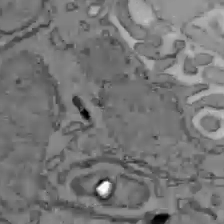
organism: C57BL Mouse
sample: Liver